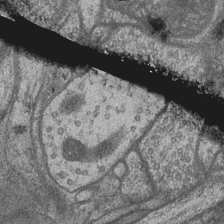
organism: Drosophila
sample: Optic medulla